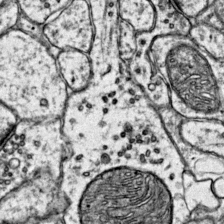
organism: Mouse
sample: Primary visual cortex